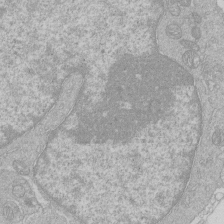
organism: Human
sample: Macrophage cells